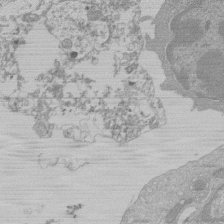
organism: Mouse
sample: Activated Pmel transgenic CD8+ T Cells